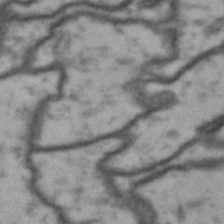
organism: Drosophila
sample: Brain